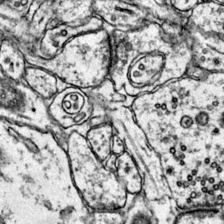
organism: Mouse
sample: Primary visual cortex